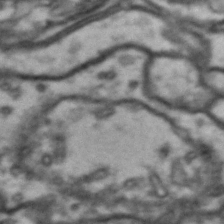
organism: Drosophila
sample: Brain